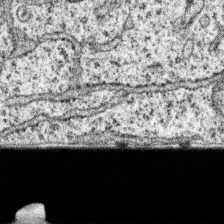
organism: Human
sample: HeLa cells